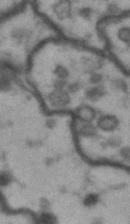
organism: Drosophila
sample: Brain